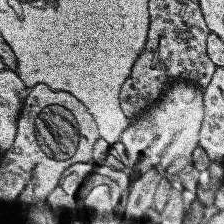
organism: Human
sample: Temporal Lobe